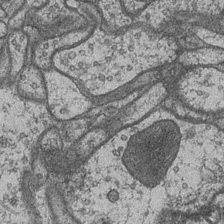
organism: Drosophila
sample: Optic medulla